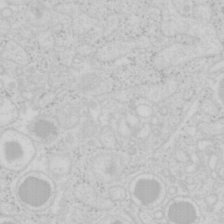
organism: Mouse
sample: Pancreas